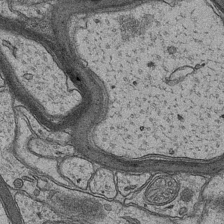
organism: Mouse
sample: CA1 Hippocampus